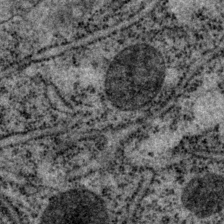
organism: P. pacificus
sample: Pharynx